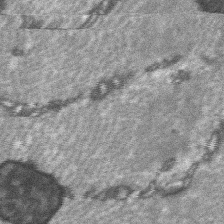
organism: C57BL Mouse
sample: Soleus